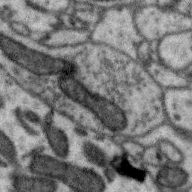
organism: Zebra finch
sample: Brain